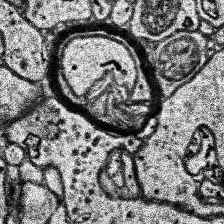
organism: Human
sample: Temporal Lobe